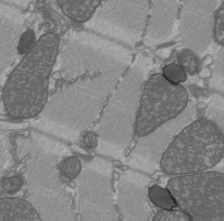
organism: C57BL Mouse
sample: Heart